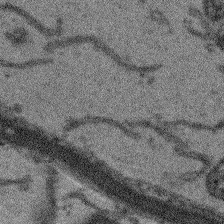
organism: Arabidopsis thaliana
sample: Root tip